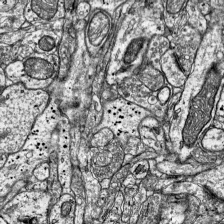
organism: Mouse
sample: Visual Cortex